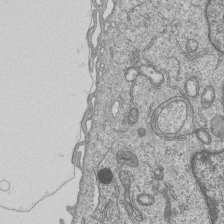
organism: Human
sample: MDA-MB-231 cells